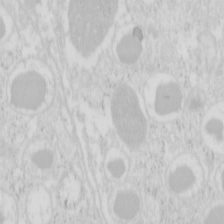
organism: Mouse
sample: Pancreas